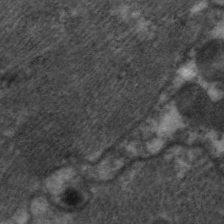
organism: C. elegans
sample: Pharynx